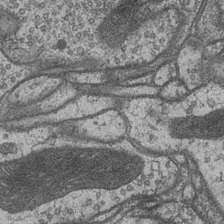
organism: Drosophila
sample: Optic medulla